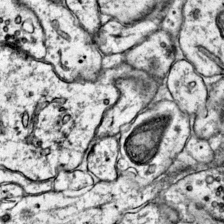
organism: Mouse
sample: Primary visual cortex